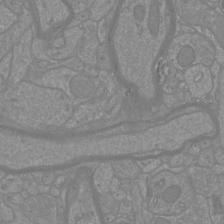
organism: Mouse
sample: Cortical neurons